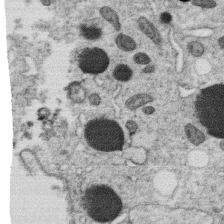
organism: C. elegans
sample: C. elegans oocyte; sperm cells